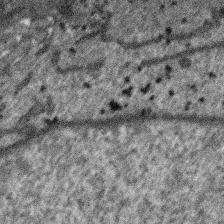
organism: Human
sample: Lung epithelial cells infected with SARS-CoV-2